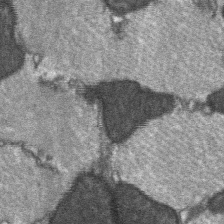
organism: C57BL Mouse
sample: Soleus